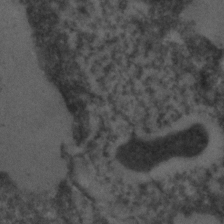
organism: C. elegans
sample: C. elegans embryo